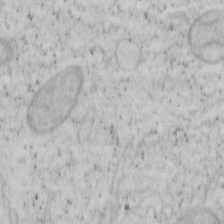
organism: Human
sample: HeLa cells